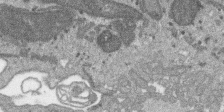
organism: Human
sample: Lung epithelial cells infected with SARS-CoV-2